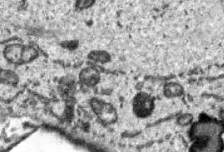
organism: Human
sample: HeLa cells